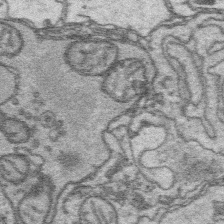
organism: Platynereis dumerilii